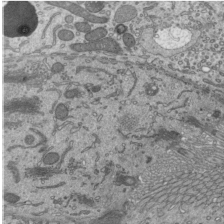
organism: Mouse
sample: Mouse epididymis efferent ductule cilia